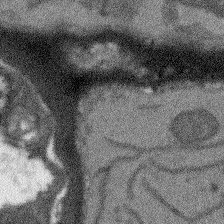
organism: Arabidopsis thaliana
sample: Root tip